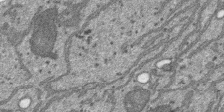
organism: Human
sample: Lung epithelial cells infected with SARS-CoV-2